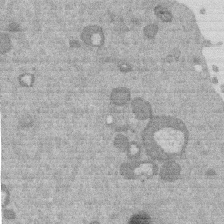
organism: Mouse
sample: Dividing mouse embryo 1 cell stage